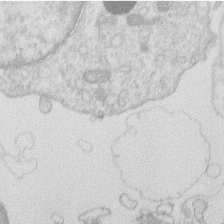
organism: Human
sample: Macrophage cells